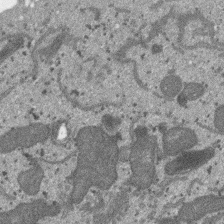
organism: Human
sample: Lung epithelial cells infected with SARS-CoV-2